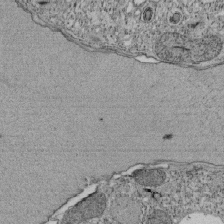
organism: Tetrahymena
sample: Cilia in tetrahymena